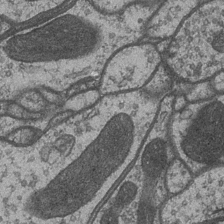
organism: Drosophila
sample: Optic medulla